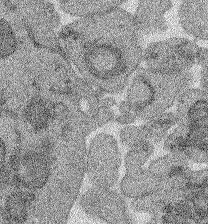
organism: Human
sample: HeLa cells